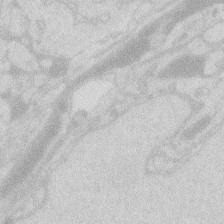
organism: Zebrafish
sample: Macrophage